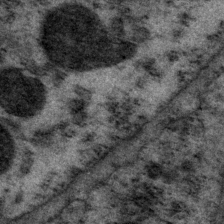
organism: P. pacificus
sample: Pharynx